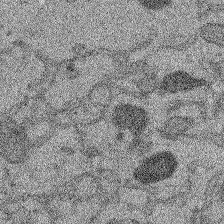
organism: Human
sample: HeLa cells